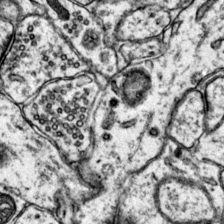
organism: Mouse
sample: Primary visual cortex